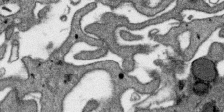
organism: Human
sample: Lung epithelial cells, uninfected (mock) control